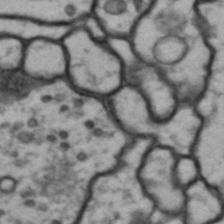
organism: Drosophila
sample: Brain